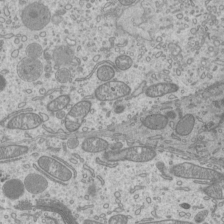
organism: Mouse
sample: Cilia; mouse epididymis